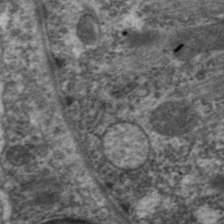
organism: C. elegans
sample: Pharynx